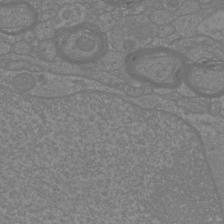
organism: Mouse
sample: Cortical neurons